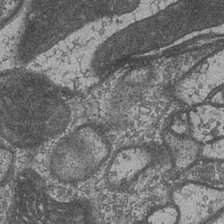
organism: Drosophila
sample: Optic medulla